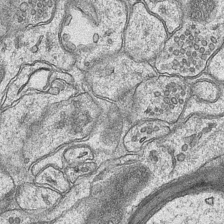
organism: Mouse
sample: CA1 Hippocampus